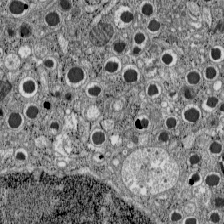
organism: C57BL Mouse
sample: Pancreatic islet